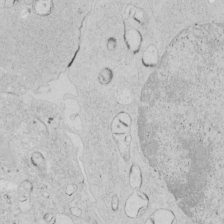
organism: Human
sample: Mitochondria in HCT116 cells